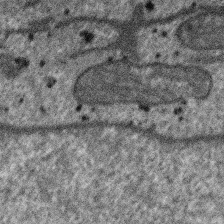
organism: Human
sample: Lung epithelial cells infected with SARS-CoV-2